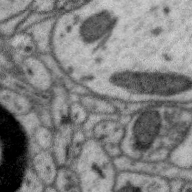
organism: Zebra finch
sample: Brain